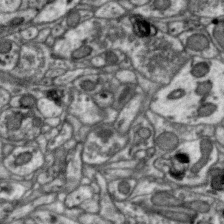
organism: Zebra finch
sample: Brain